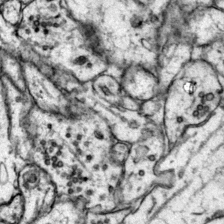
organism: Mouse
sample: Primary visual cortex